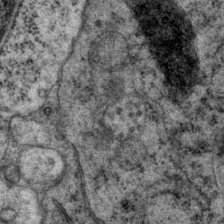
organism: P. pacificus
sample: Pharynx